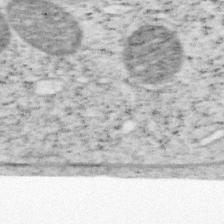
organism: Mouse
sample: OT-I killer T cells with ID8 ovarian cancer cells